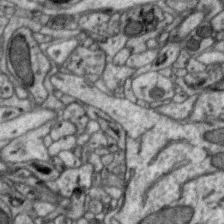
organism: Zebra finch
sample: Brain